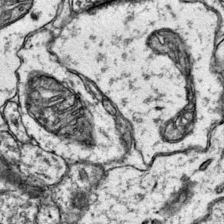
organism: Mouse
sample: Primary visual cortex